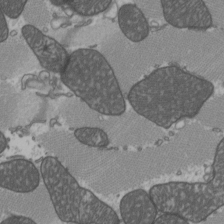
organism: C57BL Mouse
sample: Heart